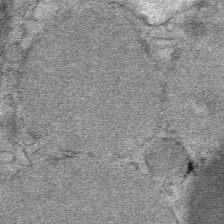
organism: Mouse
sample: Mouse Salivary gland